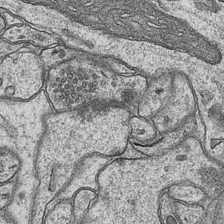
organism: Mouse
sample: CA1 Hippocampus